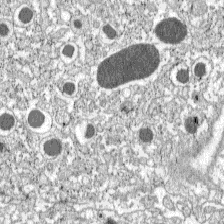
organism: C57BL Mouse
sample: Pancreatic islet